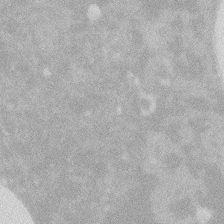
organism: Zebrafish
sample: Macrophage